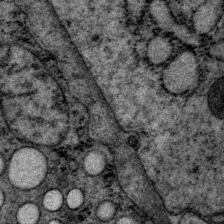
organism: P. pacificus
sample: Pharynx